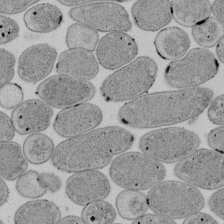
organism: E. coli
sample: Bacterial nucleoid